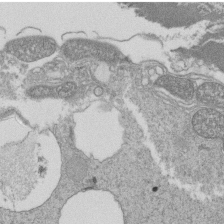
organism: Tetrahymena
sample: Cilia in tetrahymena